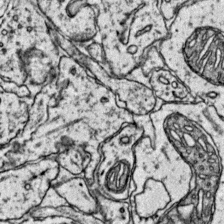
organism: Mouse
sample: Primary visual cortex